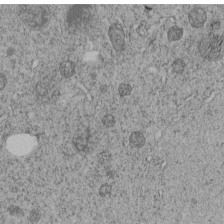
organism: C. elegans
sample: C. elegans embryo early stage